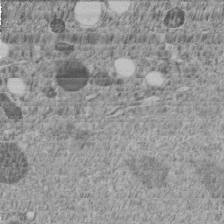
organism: C. elegans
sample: C. elegans embryo early stage